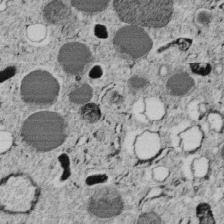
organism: C. elegans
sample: C. elegans embryo early stage